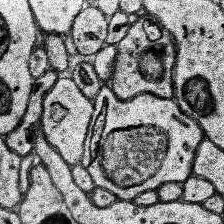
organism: Human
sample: Temporal Lobe